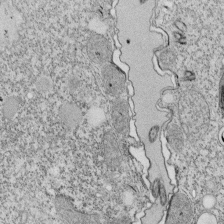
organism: Tetrahymena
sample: Cilia in tetrahymena